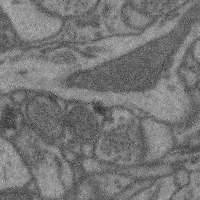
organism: Mouse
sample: Cerebral cortex